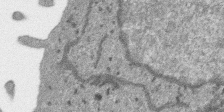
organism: Human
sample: Lung epithelial cells infected with SARS-CoV-2